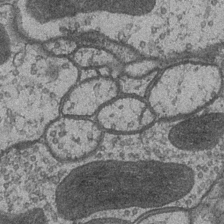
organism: Drosophila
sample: Optic medulla